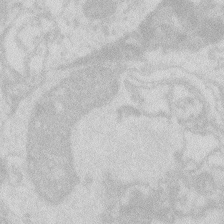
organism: Zebrafish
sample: Macrophage